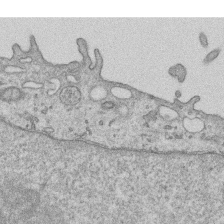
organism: Human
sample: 1205lu cells